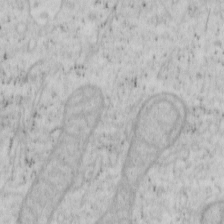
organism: Human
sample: HeLa cells